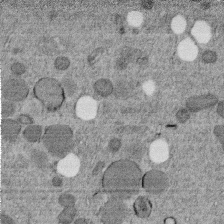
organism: C. elegans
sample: C. elegans embryo early stage